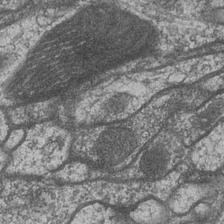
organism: Drosophila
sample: Optic medulla